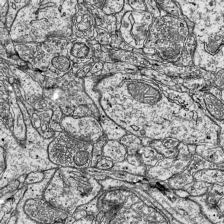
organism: Mouse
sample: Visual Cortex